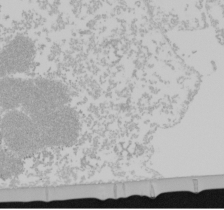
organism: Mouse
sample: Cancer cell death in ED-1 cells